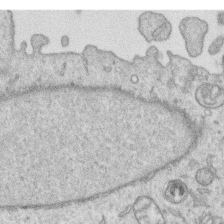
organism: Human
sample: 1205lu cells